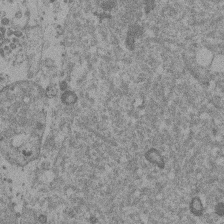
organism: Mouse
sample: Dividing mouse embryo 1 cell stage